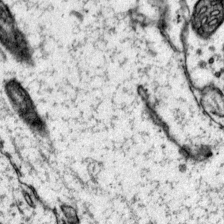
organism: Mouse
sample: Primary visual cortex